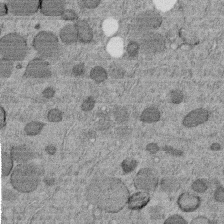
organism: C. elegans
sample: C. elegans embryo early stage